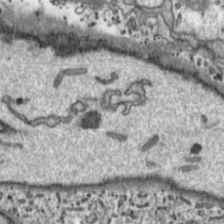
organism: Toxoplasma gondii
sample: Parasites in a vacuole inside a host cell